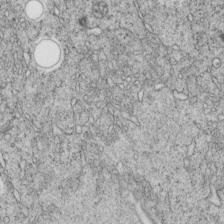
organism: C. elegans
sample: C. elegans embryo early stage